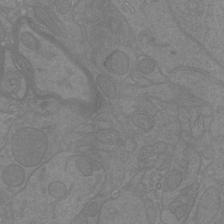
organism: Mouse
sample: Cortical neurons